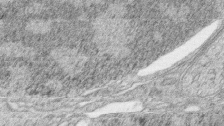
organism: Zebrafish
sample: synaptic ribbons in rod cells and cone cells